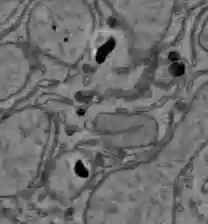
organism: C57BL Mouse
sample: Liver